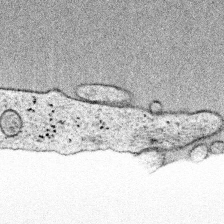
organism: Human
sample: HeLa cells